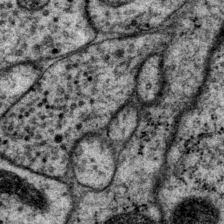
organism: P. pacificus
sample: Pharynx